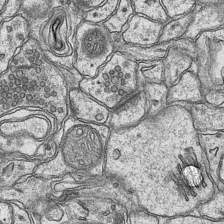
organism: Mouse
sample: CA1 Hippocampus